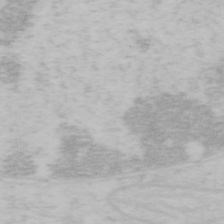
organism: Mouse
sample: OT-I killer T cells with ID8 ovarian cancer cells